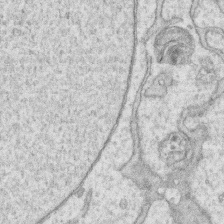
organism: Human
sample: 1205lu cells